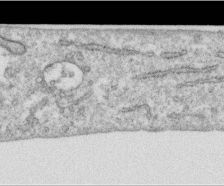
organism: Human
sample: Centriole in RPE cells